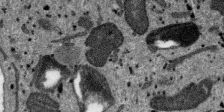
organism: Human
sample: Lung epithelial cells, uninfected (mock) control